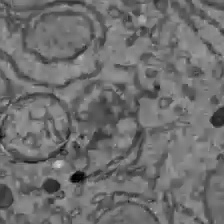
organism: C57BL Mouse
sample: Liver